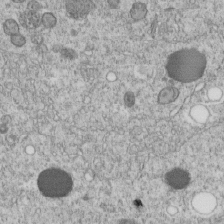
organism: C. elegans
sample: C. elegans embryo early stage